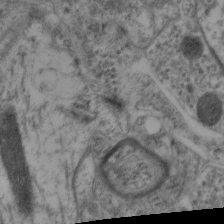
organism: Mouse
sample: Neocortex